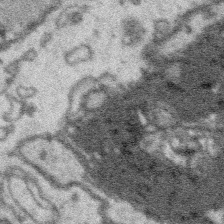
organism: Platynereis dumerilii